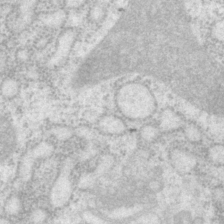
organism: P. pacificus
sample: Pharynx